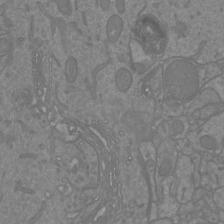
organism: Mouse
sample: Cortical neurons